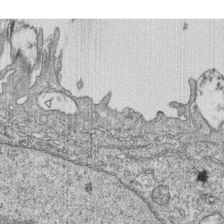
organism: Human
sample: HeLa cell HIV synapse